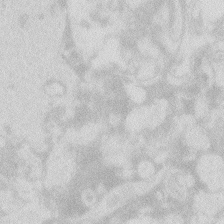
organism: Zebrafish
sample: Macrophage